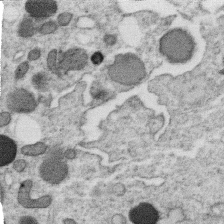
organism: C. elegans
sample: C. elegans oocyte; sperm cells